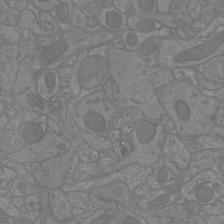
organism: Mouse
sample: Cortical neurons